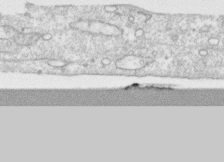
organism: Human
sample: CRL-1474